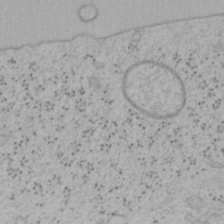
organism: Human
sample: HeLa cells